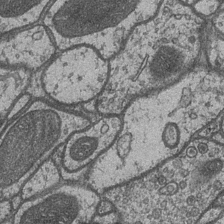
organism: Drosophila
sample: Optic medulla